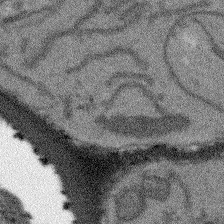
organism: Arabidopsis thaliana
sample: Root tip